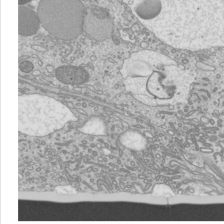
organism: Mouse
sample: Cilia; mouse epididymis